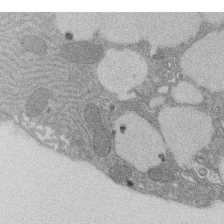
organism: Rat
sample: Salivary granule